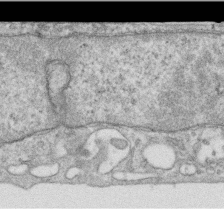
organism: Human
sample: Centriole in RPE cells